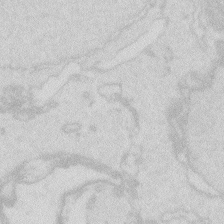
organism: Zebrafish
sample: Macrophage